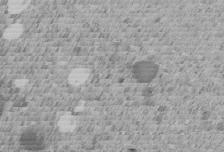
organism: C. elegans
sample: C. elegans embryo early stage